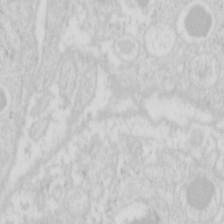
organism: Mouse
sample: Pancreas